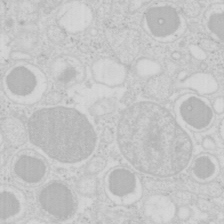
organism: Mouse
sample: Pancreas